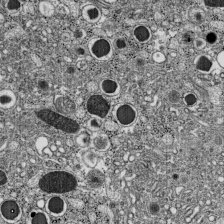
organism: C57BL Mouse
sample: Pancreatic islet